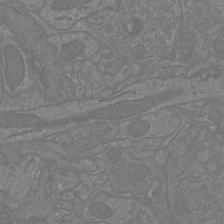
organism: Mouse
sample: Cortical neurons